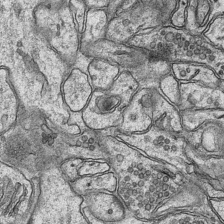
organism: Mouse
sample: CA1 Hippocampus